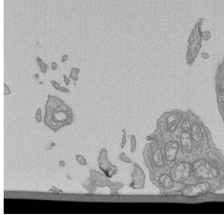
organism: Human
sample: Retinal organoid Rod and Cone cells